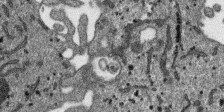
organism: Human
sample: Lung epithelial cells infected with SARS-CoV-2